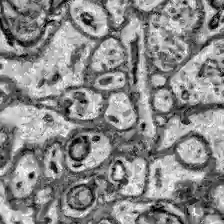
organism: Zebrafish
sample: Brain